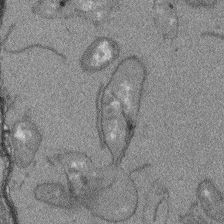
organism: Arabidopsis thaliana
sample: Root tip